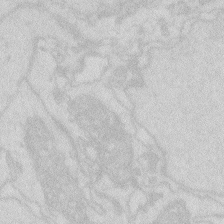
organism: Zebrafish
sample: Macrophage